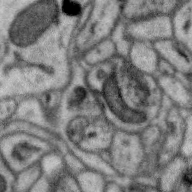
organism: Zebra finch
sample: Brain